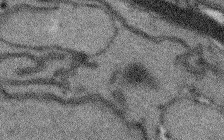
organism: Arabidopsis thaliana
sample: Root tip